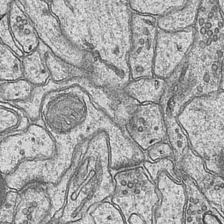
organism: Mouse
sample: CA1 Hippocampus